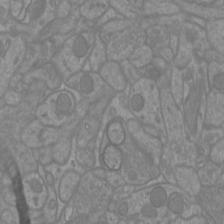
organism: Mouse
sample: Cortical neurons